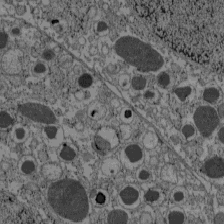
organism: C57BL Mouse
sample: Pancreatic islet